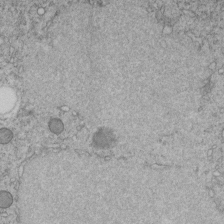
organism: C. elegans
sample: C. elegans embryo early stage